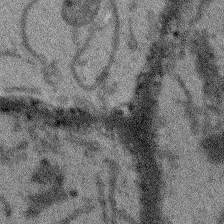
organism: Arabidopsis thaliana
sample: Root tip